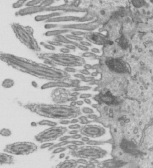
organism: Mouse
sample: Mouse epididymis efferent ductule cilia